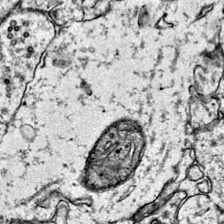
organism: Mouse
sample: Primary visual cortex